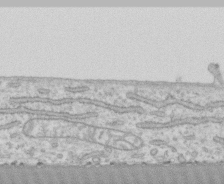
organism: Human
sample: CRL-1474